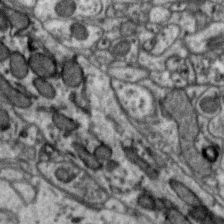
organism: Zebra finch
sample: Brain